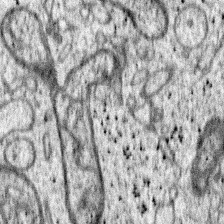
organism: Human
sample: HeLa cells